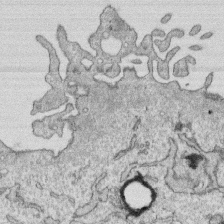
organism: Human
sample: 1205lu cells